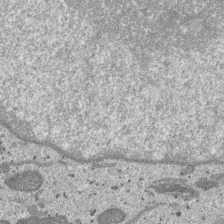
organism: Human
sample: Lung epithelial cells infected with SARS-CoV-2